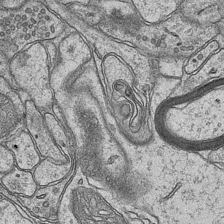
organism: Mouse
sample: CA1 Hippocampus